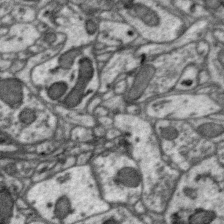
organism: Zebra finch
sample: Brain